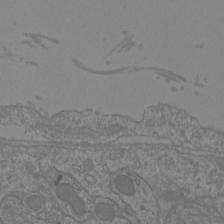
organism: Mouse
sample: Cortical neurons